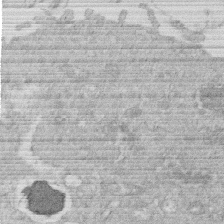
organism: Human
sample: Macrophage cells